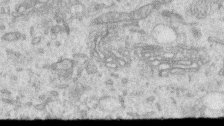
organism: Human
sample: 1205lu cells